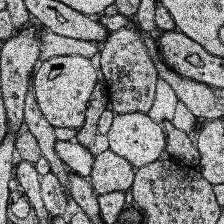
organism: Human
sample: Temporal Lobe